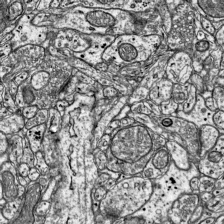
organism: Mouse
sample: Visual Cortex